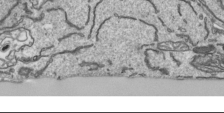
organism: Human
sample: Mitochondria in HCT116 cells